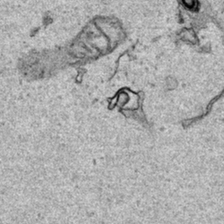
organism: Human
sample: Mitochondria in HCT116 cells